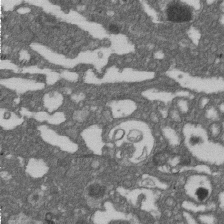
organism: Drosophila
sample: Nephrocyte